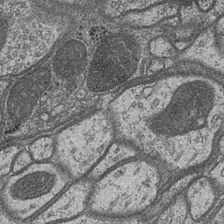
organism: Drosophila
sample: Optic medulla